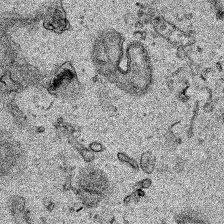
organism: Human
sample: Mitochondria in HCT116 cells